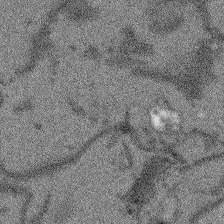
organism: Arabidopsis thaliana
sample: Root tip